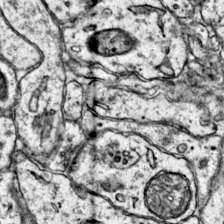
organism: Mouse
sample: Primary visual cortex